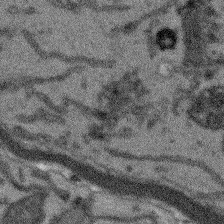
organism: Arabidopsis thaliana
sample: Root tip